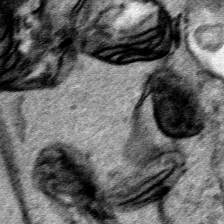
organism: Human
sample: Mitochondria in HCT116 cells